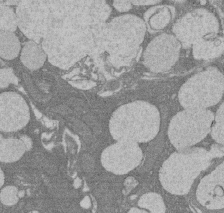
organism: Rat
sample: Salivary granule